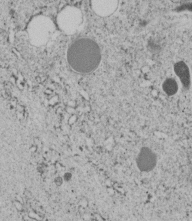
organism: C. elegans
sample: C. elegans embryo early stage